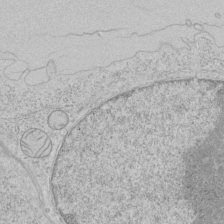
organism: Human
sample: Mitochondria in HCT116 cells